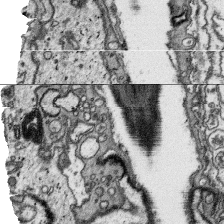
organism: Platynereis dumerilii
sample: Parapodia